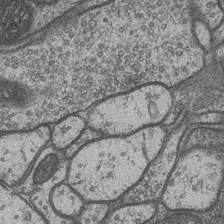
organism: Drosophila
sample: Optic medulla